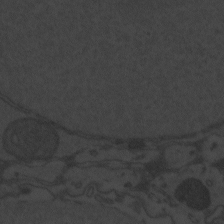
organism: Zebrafish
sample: Macrophage infected with Toxoplasma gondii